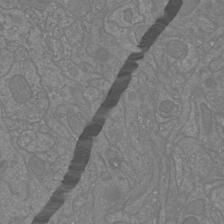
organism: Mouse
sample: Cortical neurons